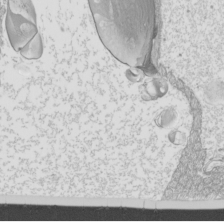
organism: Mouse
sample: Cilia; mouse epididymis